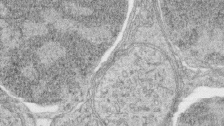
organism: Zebrafish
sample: synaptic ribbons in rod cells and cone cells